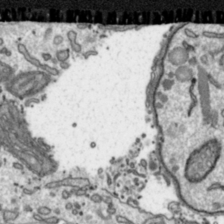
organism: Toxoplasma gondii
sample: Parasites in a vacuole inside a host cell